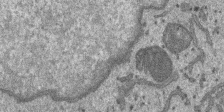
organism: Human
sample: Lung epithelial cells infected with SARS-CoV-2